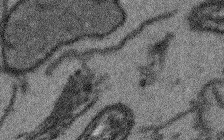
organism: Arabidopsis thaliana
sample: Root tip